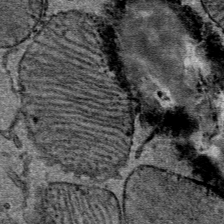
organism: Mouse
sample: Mouse Salivary gland